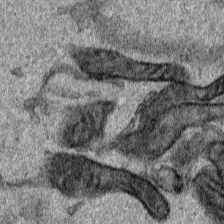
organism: Human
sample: Mitochondria in HCT116 cells